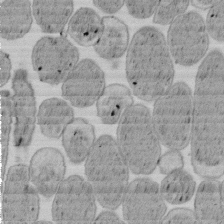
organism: E. coli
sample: Bacterial nucleoid